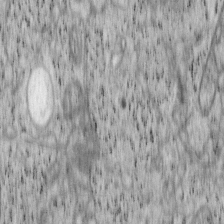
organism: Human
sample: HeLa cells